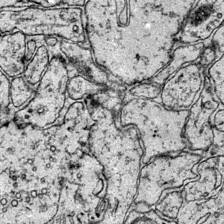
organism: Mouse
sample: Primary visual cortex